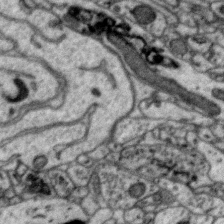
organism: Zebra finch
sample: Brain